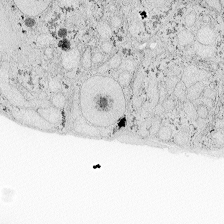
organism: Zebrafish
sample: Whole-Brain